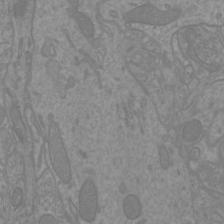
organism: Mouse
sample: Cortical neurons